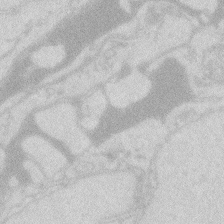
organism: Zebrafish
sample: Macrophage